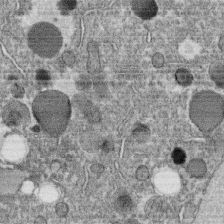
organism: C. elegans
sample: C. elegans oocyte; sperm cells